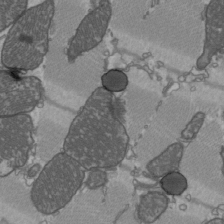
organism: C57BL Mouse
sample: Heart